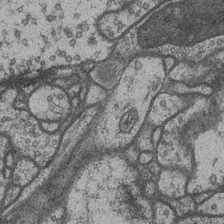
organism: Drosophila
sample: Optic medulla